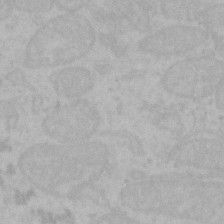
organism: Mouse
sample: Choroid plexus